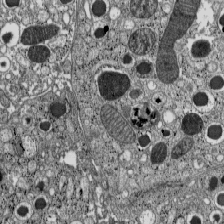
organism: C57BL Mouse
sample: Pancreatic islet